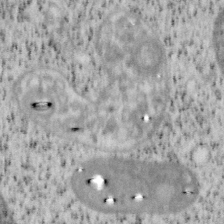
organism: Mouse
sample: OT-I killer T cells with ID8 ovarian cancer cells